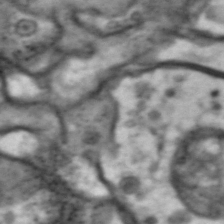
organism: Drosophila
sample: Brain